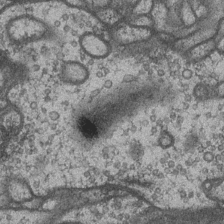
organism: Drosophila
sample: Optic medulla